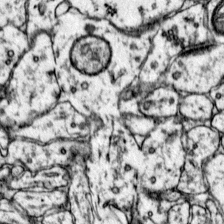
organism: Mouse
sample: Primary visual cortex